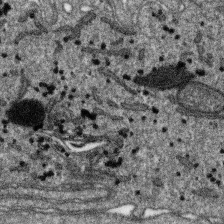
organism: Human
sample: Lung epithelial cells infected with SARS-CoV-2